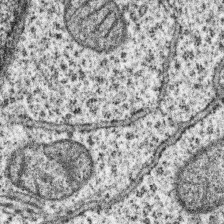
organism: Human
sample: HeLa cells